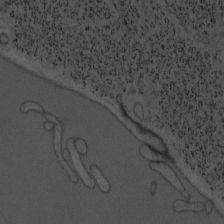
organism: Mouse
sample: OT-I killer T cells with ID8 ovarian cancer cells